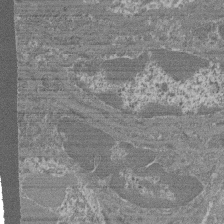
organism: Mouse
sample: Glomerulus